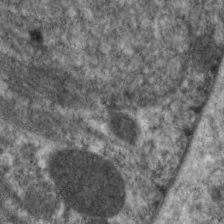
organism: C. elegans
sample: Pharynx